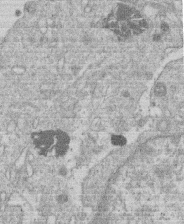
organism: Human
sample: Macrophage cells